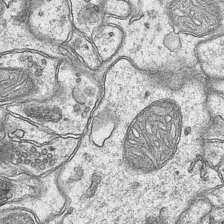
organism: Mouse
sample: CA1 Hippocampus